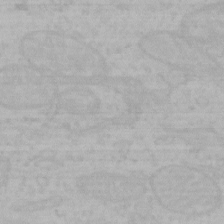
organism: Mouse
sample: Choroid plexus